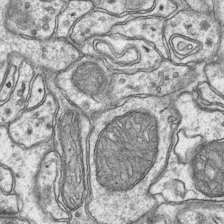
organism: Mouse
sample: CA1 Hippocampus